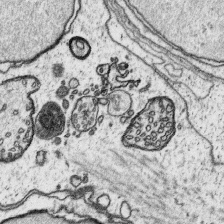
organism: Platynereis dumerilii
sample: Parapodia